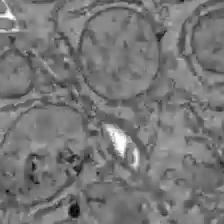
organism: C57BL Mouse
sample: Liver